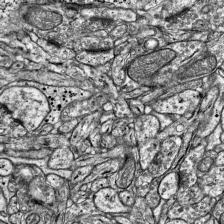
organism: Mouse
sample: Visual Cortex